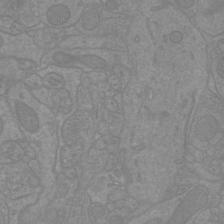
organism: Mouse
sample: Cortical neurons